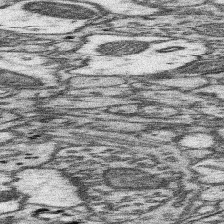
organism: Mouse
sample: Somatosensory cortex neuropil